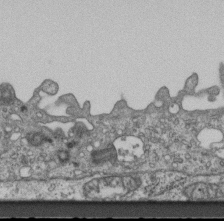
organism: Mouse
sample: Centriole in ependymal cells